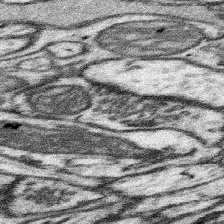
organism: Mouse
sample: Somatosensory cortex neuropil